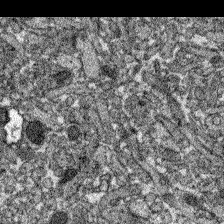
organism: Zebrafish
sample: Larval olfactory bulb